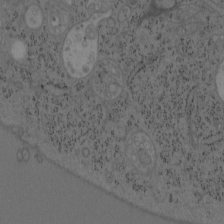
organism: Mouse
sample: OT-I killer T cells with ID8 ovarian cancer cells